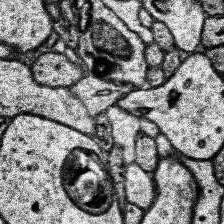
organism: Human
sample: Temporal Lobe